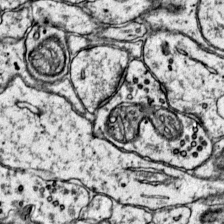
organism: Mouse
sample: Primary visual cortex